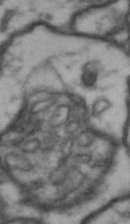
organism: Drosophila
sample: Brain